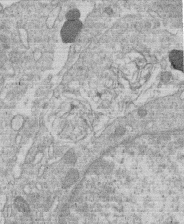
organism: Human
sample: Macrophage cells